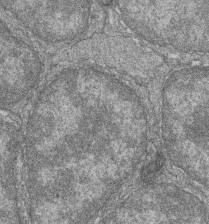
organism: Zebrafish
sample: Cilia; retinal pigment epithelium